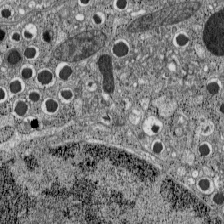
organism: C57BL Mouse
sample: Pancreatic islet